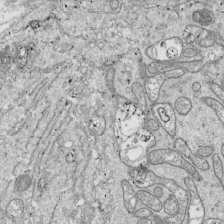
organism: Drosophila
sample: Cell division; meiosis; drosophila spermatocytes